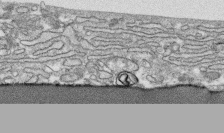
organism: Human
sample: CRL-1474